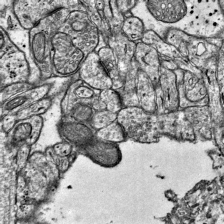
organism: Mouse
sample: Visual Cortex